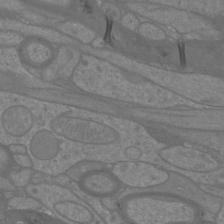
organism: Mouse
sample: Cortical neurons